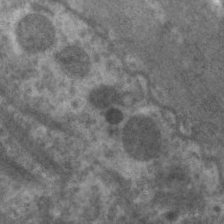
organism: C. elegans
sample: Pharynx